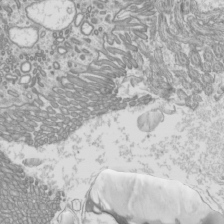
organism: Mouse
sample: Cilia; mouse epididymis